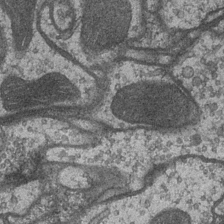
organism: Drosophila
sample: Optic medulla